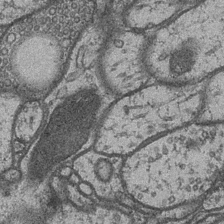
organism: Drosophila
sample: Optic medulla